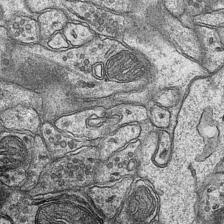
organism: Mouse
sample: CA1 Hippocampus